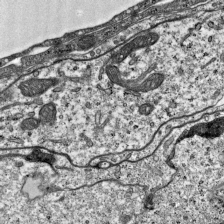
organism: Mouse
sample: Visual Cortex